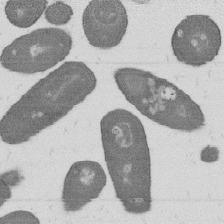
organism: B. subtilis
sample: Bacterial spore